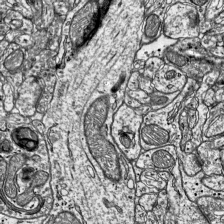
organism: Mouse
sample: Visual Cortex